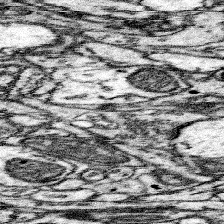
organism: Mouse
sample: Somatosensory cortex neuropil